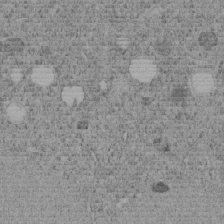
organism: C. elegans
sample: C. elegans embryo early stage